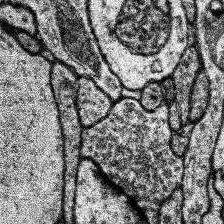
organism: Human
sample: Temporal Lobe